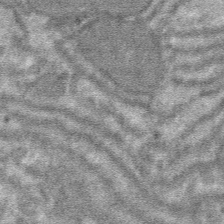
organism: Mouse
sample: Mouse hepatocytes